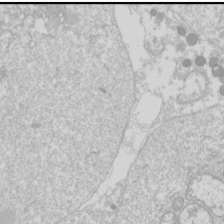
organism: Drosophila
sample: Cell division; meiosis; drosophila spermatocytes